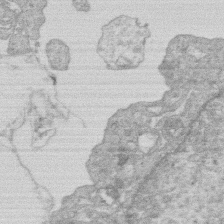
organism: Human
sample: Macrophage cells